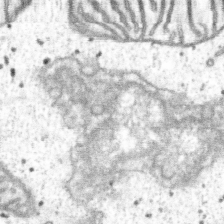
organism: Human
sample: HeLa cells